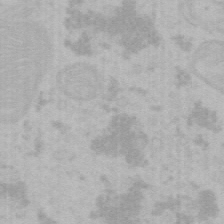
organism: Mouse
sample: Choroid plexus